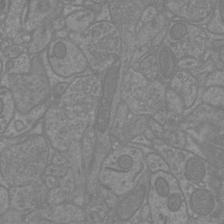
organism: Mouse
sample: Cortical neurons